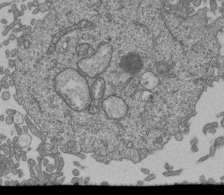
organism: Human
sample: Retinal organoid Rod and Cone cells